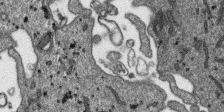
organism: Human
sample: Lung epithelial cells infected with SARS-CoV-2